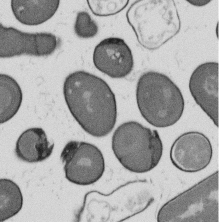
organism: B. subtilis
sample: Bacterial spore